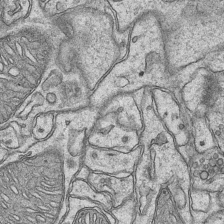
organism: Mouse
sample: CA1 Hippocampus